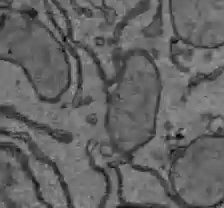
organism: C57BL Mouse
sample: Liver